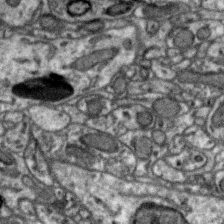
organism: Zebra finch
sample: Brain